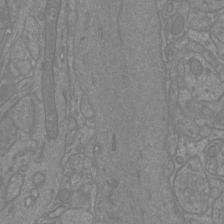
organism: Mouse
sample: Cortical neurons